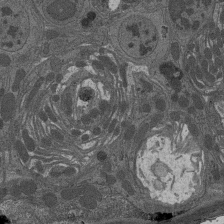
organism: Drosophila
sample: Antenna